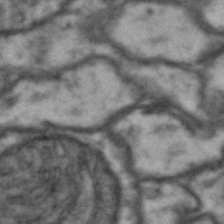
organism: Drosophila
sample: Brain